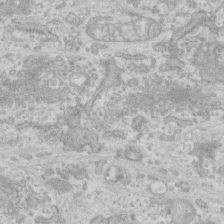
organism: Human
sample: CRL-1474